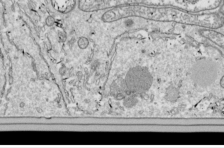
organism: Drosophila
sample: Cell division; meiosis; drosophila spermatocytes